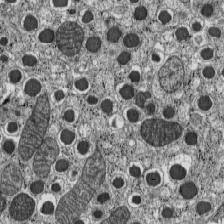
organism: C57BL Mouse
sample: Pancreatic islet